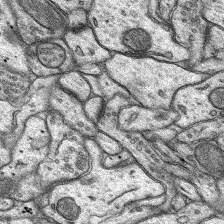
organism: Rat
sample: Hippocampus